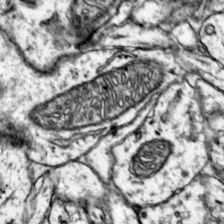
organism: Mouse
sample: Primary visual cortex